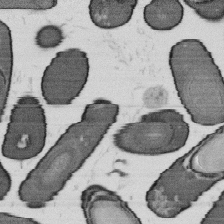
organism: B. subtilis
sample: Bacterial spore